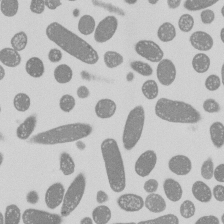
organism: E. coli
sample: Bacterial nucleoid